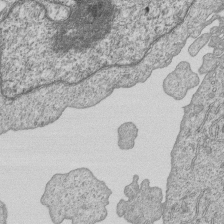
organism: Human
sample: MDA-MB-231 cells